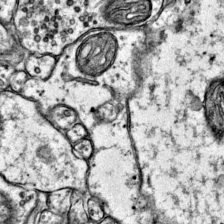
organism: Mouse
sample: Primary visual cortex